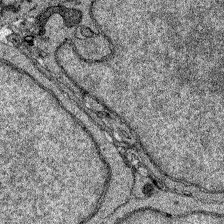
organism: Zebrafish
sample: Larval olfactory bulb